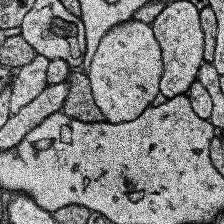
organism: Human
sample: Temporal Lobe